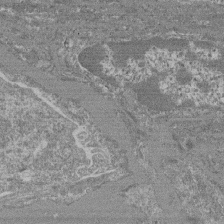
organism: Mouse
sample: Glomerulus